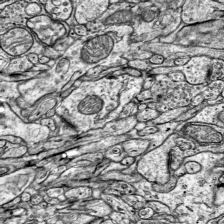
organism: Mouse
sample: Visual Cortex